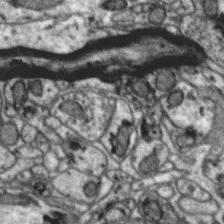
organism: Zebra finch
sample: Brain